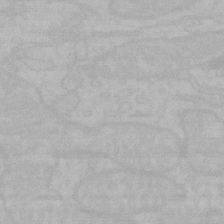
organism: Mouse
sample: Choroid plexus